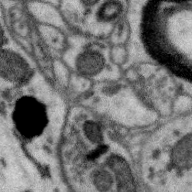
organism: Zebra finch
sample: Brain